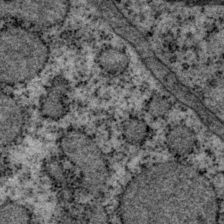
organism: P. pacificus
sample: Pharynx